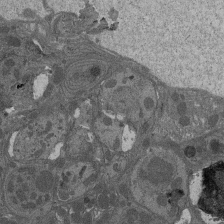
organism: Drosophila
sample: Antenna